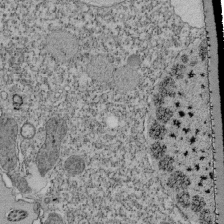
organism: Tetrahymena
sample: Cilia in tetrahymena